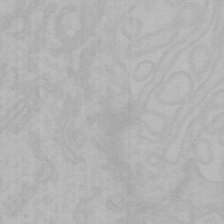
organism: Mouse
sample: Choroid plexus